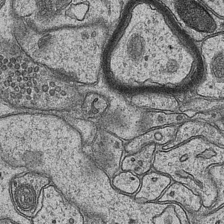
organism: Mouse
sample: CA1 Hippocampus